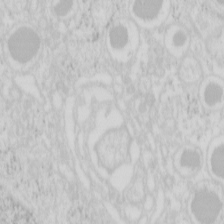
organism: Mouse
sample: Pancreas